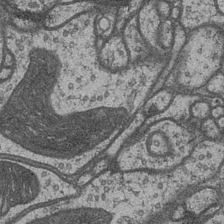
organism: Drosophila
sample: Optic medulla